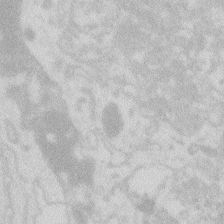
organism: Zebrafish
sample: Macrophage